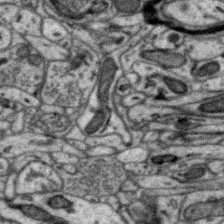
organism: Zebra finch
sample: Brain